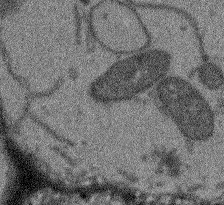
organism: Arabidopsis thaliana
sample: Root tip